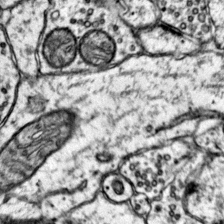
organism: Mouse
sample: Primary visual cortex